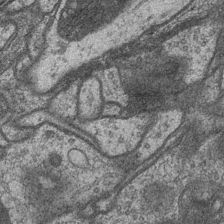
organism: Drosophila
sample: Optic medulla